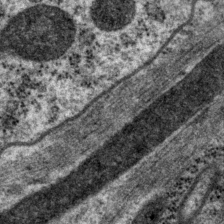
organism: P. pacificus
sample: Pharynx